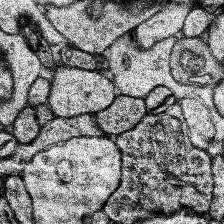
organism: Human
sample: Temporal Lobe